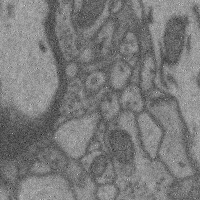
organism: Mouse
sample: Cerebral cortex